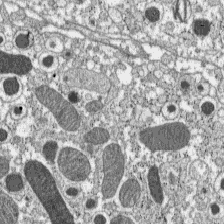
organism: C57BL Mouse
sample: Pancreatic islet